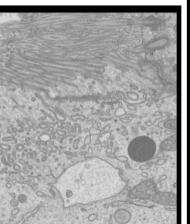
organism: Mouse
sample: Cilia; mouse epididymis